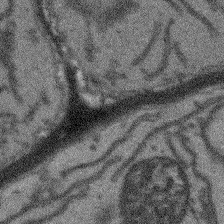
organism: Arabidopsis thaliana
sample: Root tip